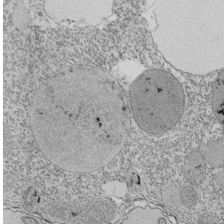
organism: Tetrahymena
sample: Cilia in tetrahymena